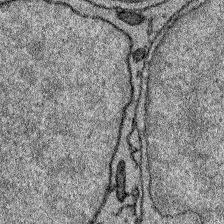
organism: Zebrafish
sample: Larval olfactory bulb